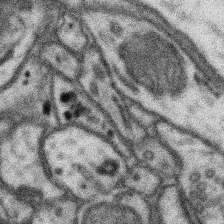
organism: Mouse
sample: Somatosensory cortex neuropil